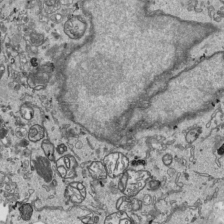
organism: Human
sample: Mitochondria in HCT116 cells